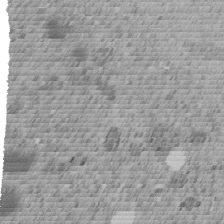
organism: C. elegans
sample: C. elegans embryo early stage